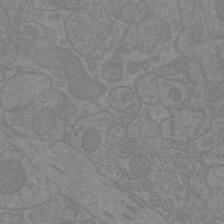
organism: Mouse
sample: Cortical neurons